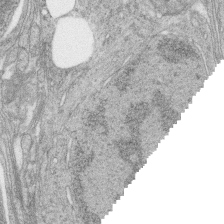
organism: Zebrafish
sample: synaptic ribbons in rod cells and cone cells